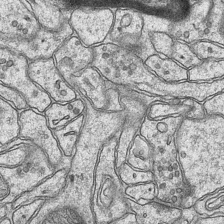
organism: Mouse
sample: CA1 Hippocampus